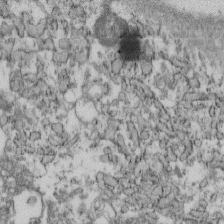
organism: Mouse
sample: Cilia; retinal pigment epithelium